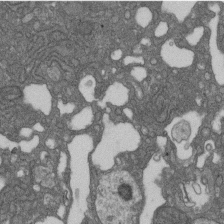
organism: Drosophila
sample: Nephrocyte